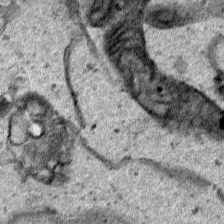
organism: Human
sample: Mitochondria in HCT116 cells